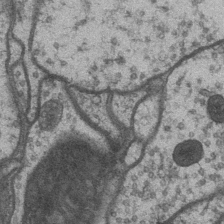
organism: Drosophila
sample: Optic medulla